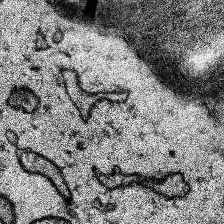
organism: Human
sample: Temporal Lobe